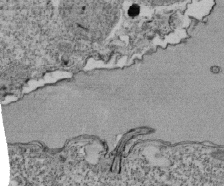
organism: Tetrahymena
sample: Cilia in tetrahymena